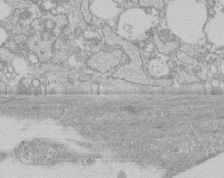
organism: Human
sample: CRL-1474